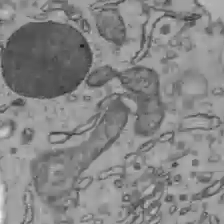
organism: C57BL Mouse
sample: Liver